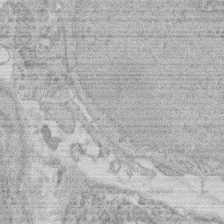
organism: Rat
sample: Salivary granule